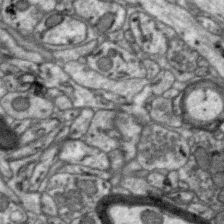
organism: Zebra finch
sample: Brain